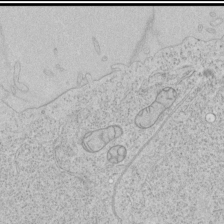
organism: Human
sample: Mitochondria in HCT116 cells